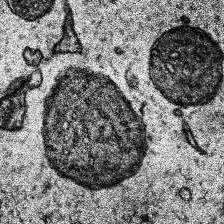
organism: Human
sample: Temporal Lobe